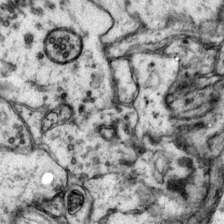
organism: Mouse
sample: Primary visual cortex